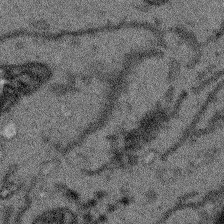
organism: Arabidopsis thaliana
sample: Root tip